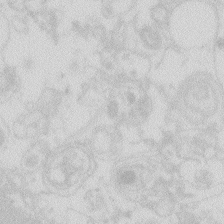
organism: Zebrafish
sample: Macrophage